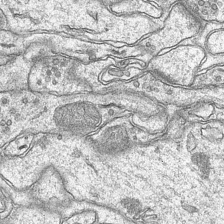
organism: Mouse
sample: CA1 Hippocampus